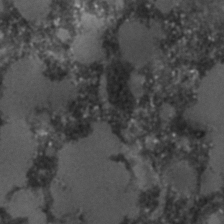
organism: C. elegans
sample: C. elegans embryo